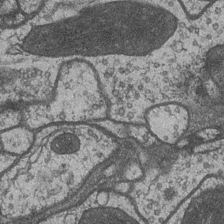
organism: Drosophila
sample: Optic medulla